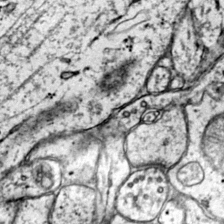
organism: Mouse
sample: Primary visual cortex